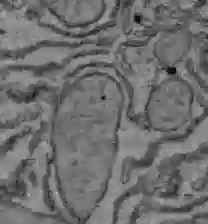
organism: C57BL Mouse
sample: Liver